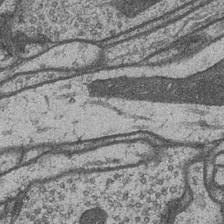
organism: Drosophila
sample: Optic medulla